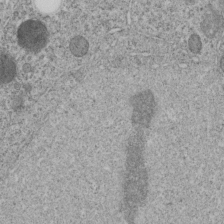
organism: C. elegans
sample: C. elegans embryo early stage